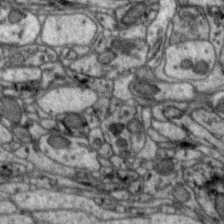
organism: Zebra finch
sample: Brain